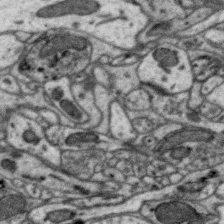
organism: Zebra finch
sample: Brain